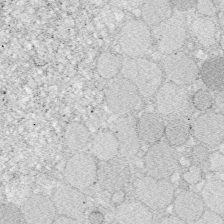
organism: Zebrafish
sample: Whole-Brain